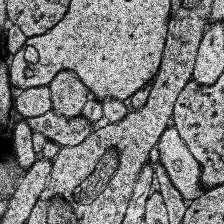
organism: Human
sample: Temporal Lobe